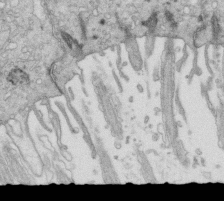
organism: Mouse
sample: Multiciliated cells